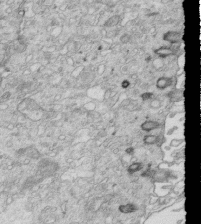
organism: Mouse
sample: Multiciliated cells